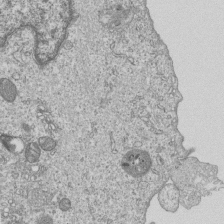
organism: Human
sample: MDA-MB-231 cells